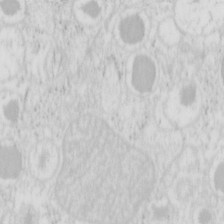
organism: Mouse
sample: Pancreas